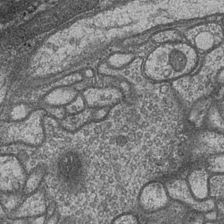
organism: Drosophila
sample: Optic medulla